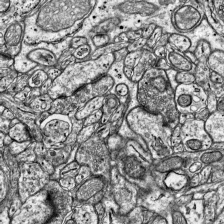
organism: Mouse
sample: Visual Cortex